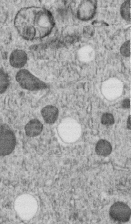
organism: C. elegans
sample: C. elegans embryo early stage